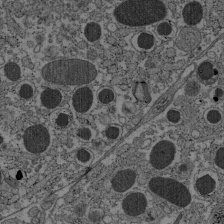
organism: C57BL Mouse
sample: Pancreatic islet